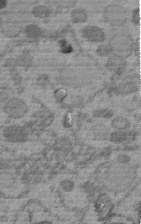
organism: C. elegans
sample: C. elegans embryo early stage